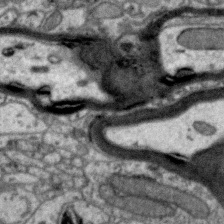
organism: Zebra finch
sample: Brain